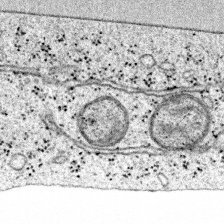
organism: Human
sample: HeLa cells